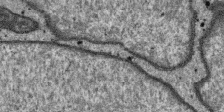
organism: Human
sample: Lung epithelial cells, uninfected (mock) control